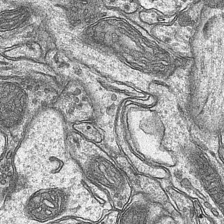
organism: Mouse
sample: CA1 Hippocampus